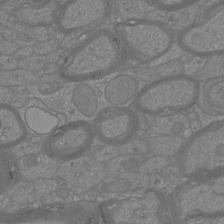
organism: Mouse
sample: Cortical neurons